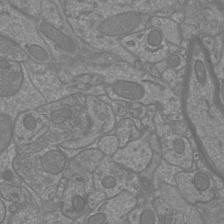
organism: Mouse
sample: Cortical neurons